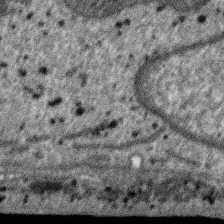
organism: Human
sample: Lung epithelial cells infected with SARS-CoV-2